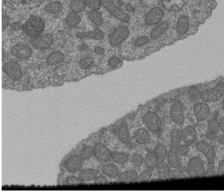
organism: Human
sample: Retinal organoid Rod and Cone cells